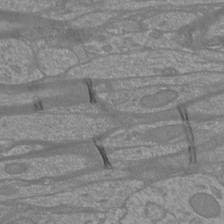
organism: Mouse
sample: Cortical neurons